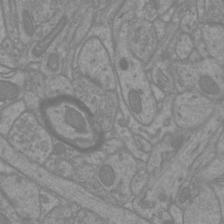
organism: Mouse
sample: Cortical neurons